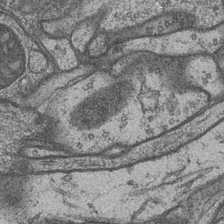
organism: Drosophila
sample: Optic medulla